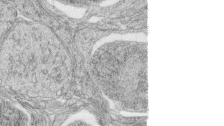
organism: Zebrafish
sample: synaptic ribbons in rod cells and cone cells